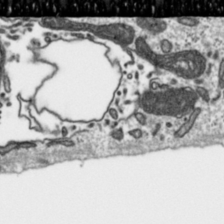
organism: Toxoplasma gondii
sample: Parasites in a vacuole inside a host cell